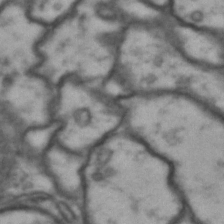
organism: Drosophila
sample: Brain